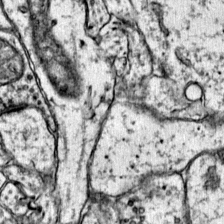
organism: Mouse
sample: Primary visual cortex